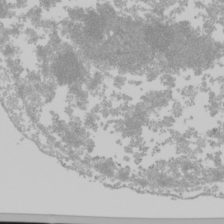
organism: Mouse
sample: Cancer cell death in ED-1 cells